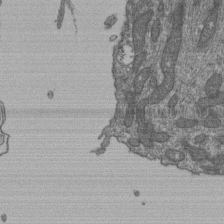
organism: Human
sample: Retinal organoid Rod and Cone cells